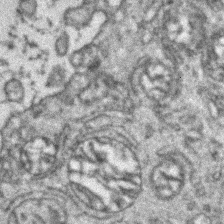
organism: Zebrafish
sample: Zebrafish embryo